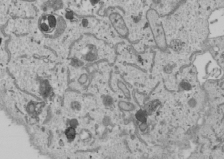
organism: Human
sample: Mitochondria in U2OS cells